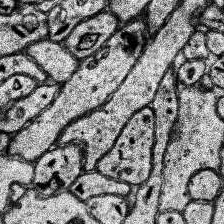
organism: Human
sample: Temporal Lobe